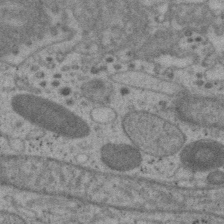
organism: Human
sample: HeLa cells